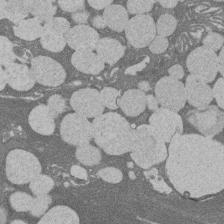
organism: Rat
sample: Salivary granule